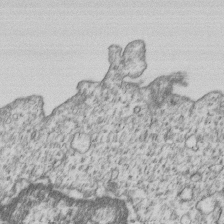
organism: Human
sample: MDA-MB-231 cells